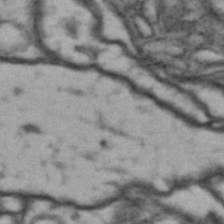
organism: Drosophila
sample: Brain